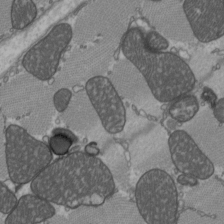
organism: C57BL Mouse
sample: Heart